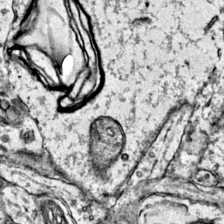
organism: Mouse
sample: Primary visual cortex